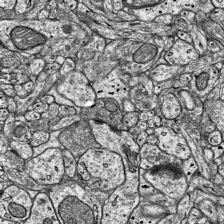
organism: Mouse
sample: Visual Cortex